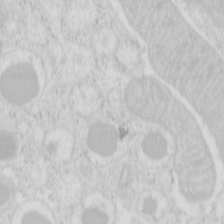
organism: Mouse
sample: Pancreas